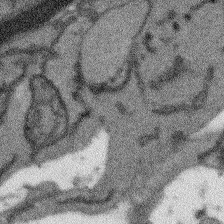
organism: Arabidopsis thaliana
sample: Root tip